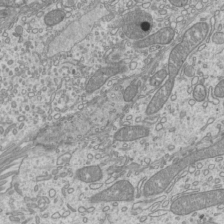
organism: Mouse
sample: Cilia; mouse epididymis